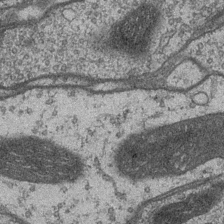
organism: Drosophila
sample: Optic medulla